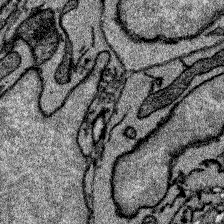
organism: Zebrafish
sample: Larval olfactory bulb